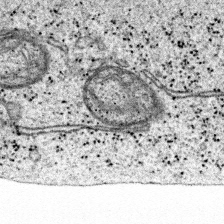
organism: Human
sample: HeLa cells